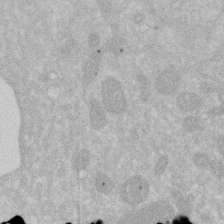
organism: Human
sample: HIV infected U937 cells